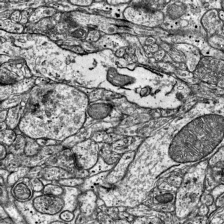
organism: Mouse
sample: Visual Cortex